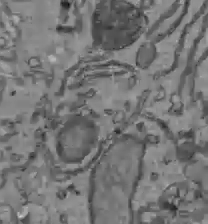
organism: C57BL Mouse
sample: Liver